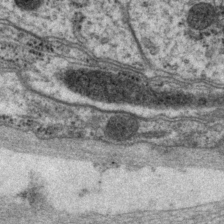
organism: P. pacificus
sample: Pharynx